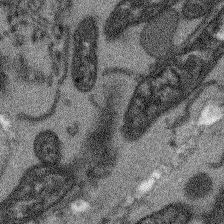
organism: Arabidopsis thaliana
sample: Root tip